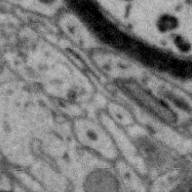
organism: Zebra finch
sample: Brain